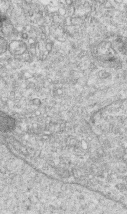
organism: Human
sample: HeLa cell HIV synapse